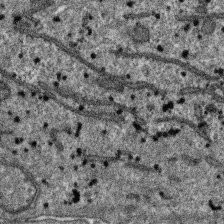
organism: Human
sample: Lung epithelial cells infected with SARS-CoV-2